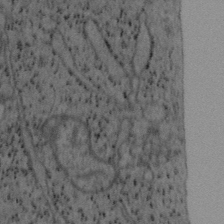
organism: Human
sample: HeLa cells